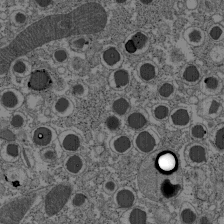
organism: C57BL Mouse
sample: Pancreatic islet